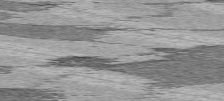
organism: C57BL Mouse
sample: Heart